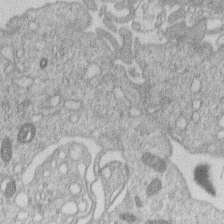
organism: Human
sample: Macrophage cells